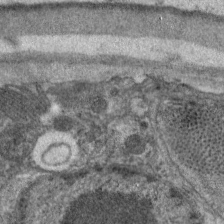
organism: C. elegans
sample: Pharynx